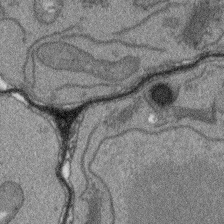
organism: Arabidopsis thaliana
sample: Root tip